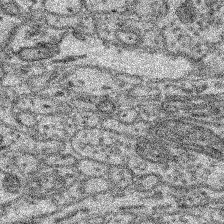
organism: Mouse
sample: Retina